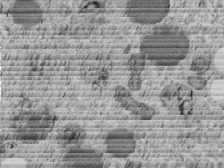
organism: C. elegans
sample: C. elegans embryo early stage